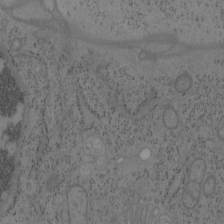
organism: Mouse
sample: OT-I killer T cells with ID8 ovarian cancer cells